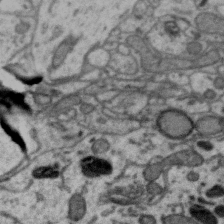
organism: Zebra finch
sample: Brain